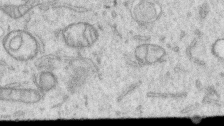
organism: Human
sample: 1205lu cells